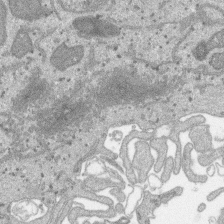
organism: Human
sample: Lung epithelial cells infected with SARS-CoV-2